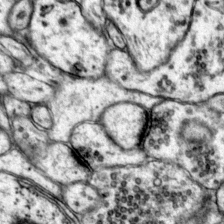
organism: Mouse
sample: Primary visual cortex